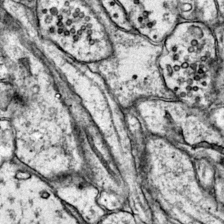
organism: Mouse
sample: Primary visual cortex